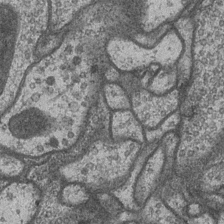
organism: Drosophila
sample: Optic medulla